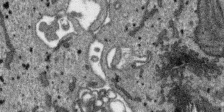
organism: Human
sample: Lung epithelial cells, uninfected (mock) control